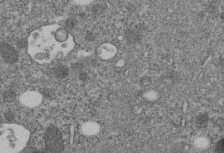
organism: C. elegans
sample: C. elegans embryo early stage